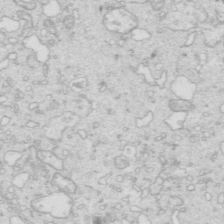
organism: Mouse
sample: Multiciliated cells